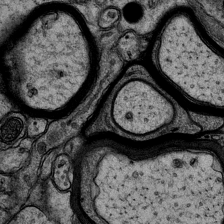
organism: Mouse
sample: CA1 Hippocampus